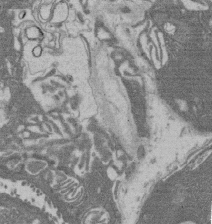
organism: Rat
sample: Salivary granule